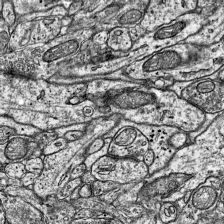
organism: Mouse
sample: Visual Cortex